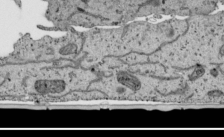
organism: Human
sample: Mitochondria in HCT116 cells